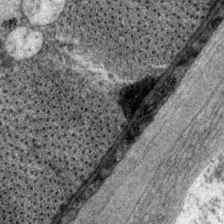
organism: P. pacificus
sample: Pharynx